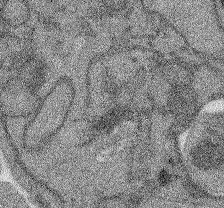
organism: Human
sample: HeLa cells